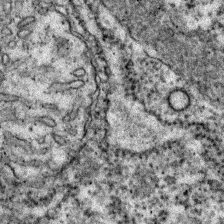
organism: Zebrafish